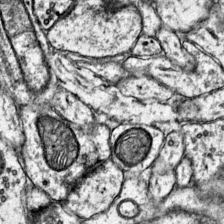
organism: Mouse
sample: Primary visual cortex